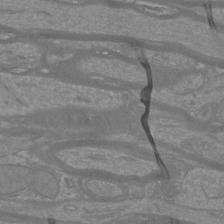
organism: Mouse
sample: Cortical neurons